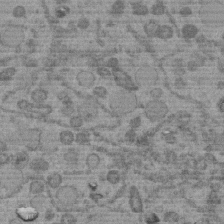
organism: C. elegans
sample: C. elegans embryo early stage